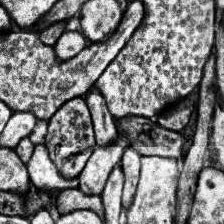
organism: Human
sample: Temporal Lobe